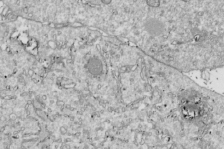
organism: Drosophila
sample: Cell division; meiosis; drosophila spermatocytes